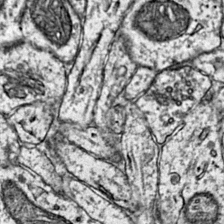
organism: Mouse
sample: Primary visual cortex